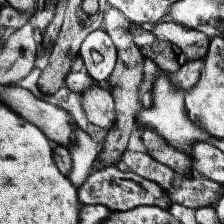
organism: Human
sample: Temporal Lobe